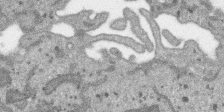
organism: Human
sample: Lung epithelial cells infected with SARS-CoV-2